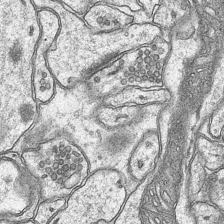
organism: Mouse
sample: CA1 Hippocampus